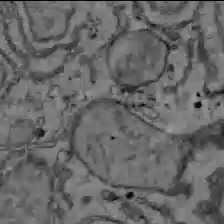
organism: C57BL Mouse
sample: Liver